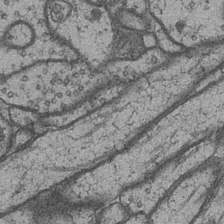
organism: Drosophila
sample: Optic medulla